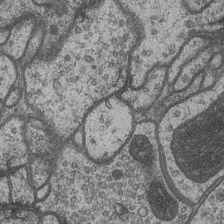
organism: Drosophila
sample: Optic medulla